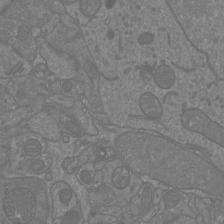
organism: Mouse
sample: Cortical neurons